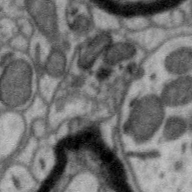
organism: Zebra finch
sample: Brain